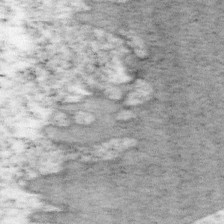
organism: Mouse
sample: OT-I killer T cells with ID8 ovarian cancer cells